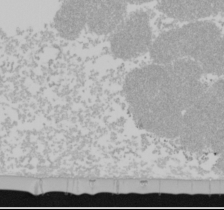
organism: Mouse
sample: Cancer cell death in ED-1 cells